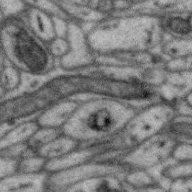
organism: Zebra finch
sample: Brain